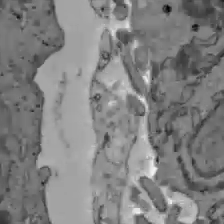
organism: C57BL Mouse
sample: Liver